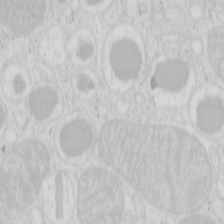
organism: Mouse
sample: Pancreas